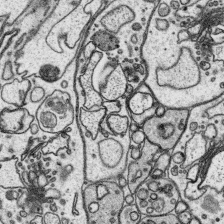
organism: Platynereis dumerilii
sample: Parapodia